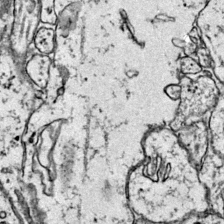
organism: Mouse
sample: Primary visual cortex